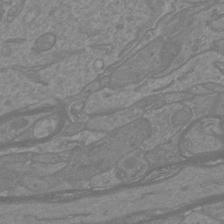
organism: Mouse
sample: Cortical neurons